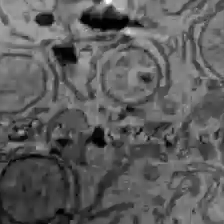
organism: C57BL Mouse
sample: Liver